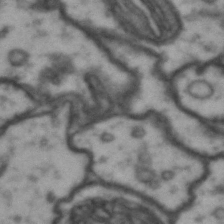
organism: Drosophila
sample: Brain